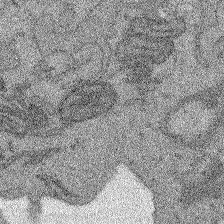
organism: Human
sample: HeLa cells